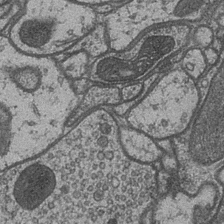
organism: Drosophila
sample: Optic medulla